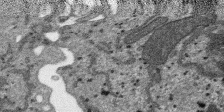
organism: Human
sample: Lung epithelial cells infected with SARS-CoV-2